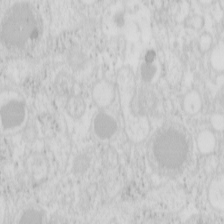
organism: Mouse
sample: Pancreas